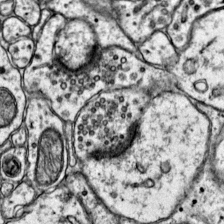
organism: Mouse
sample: Primary visual cortex